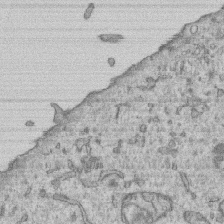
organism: Human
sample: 1205lu cells